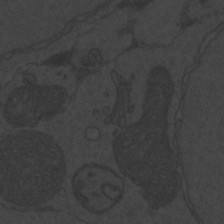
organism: Zebrafish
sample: Macrophage infected with Toxoplasma gondii